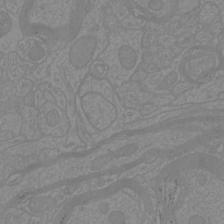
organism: Mouse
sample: Cortical neurons